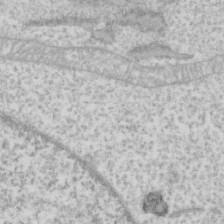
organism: Human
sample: Fibroblast cells